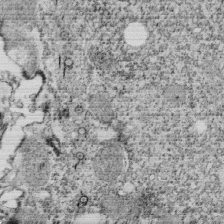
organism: Tetrahymena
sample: Cilia in tetrahymena